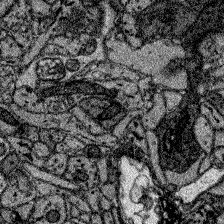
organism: Zebrafish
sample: Larval olfactory bulb